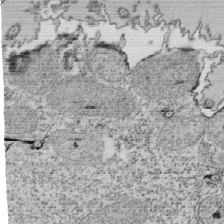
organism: Tetrahymena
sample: Cilia in tetrahymena